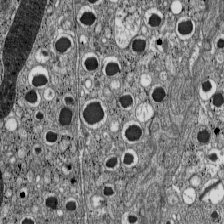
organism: C57BL Mouse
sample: Pancreatic islet